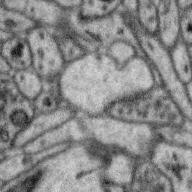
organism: Zebra finch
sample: Brain